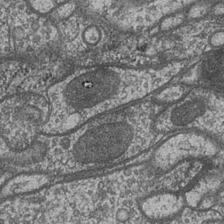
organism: Drosophila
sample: Optic medulla